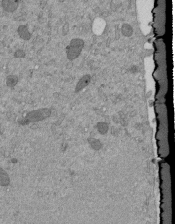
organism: Mouse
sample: ED-1 cell nuclei; centrioles